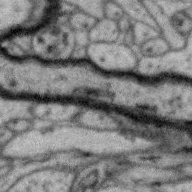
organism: Zebra finch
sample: Brain